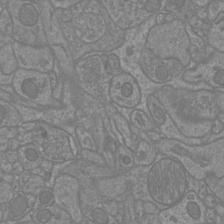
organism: Mouse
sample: Cortical neurons